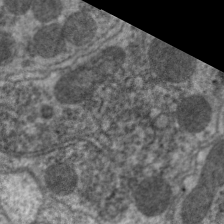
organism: C. elegans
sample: Pharynx